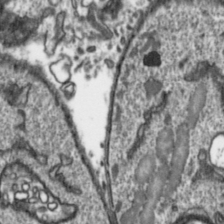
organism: Toxoplasma gondii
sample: Parasites in a vacuole inside a host cell